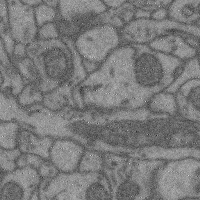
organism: Mouse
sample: Cerebral cortex